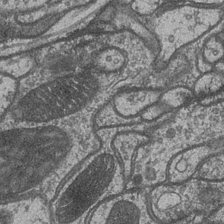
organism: Drosophila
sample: Optic medulla